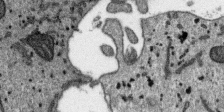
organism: Human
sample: Lung epithelial cells, uninfected (mock) control